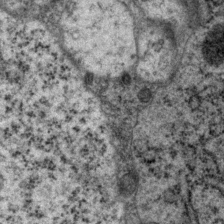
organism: P. pacificus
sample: Pharynx